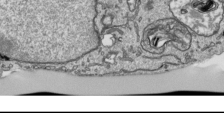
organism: Human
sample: Mitochondria in HCT116 cells